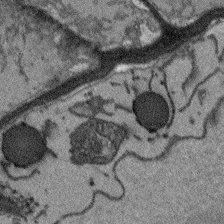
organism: Arabidopsis thaliana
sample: Root tip